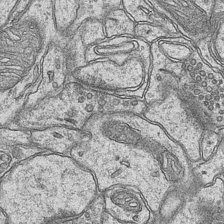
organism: Mouse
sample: CA1 Hippocampus